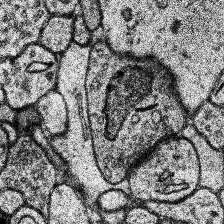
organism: Human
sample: Temporal Lobe